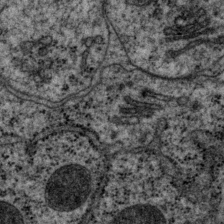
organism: P. pacificus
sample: Pharynx